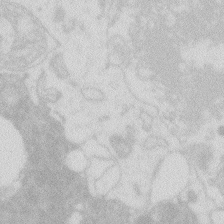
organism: Zebrafish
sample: Macrophage